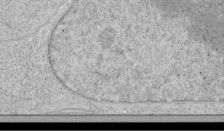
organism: Human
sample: Mitochondria in HCT116 cells